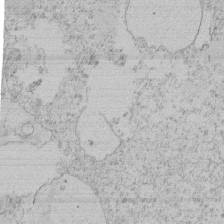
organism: Tetrahymena